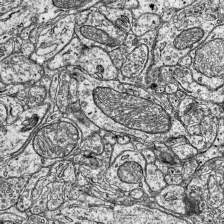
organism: Mouse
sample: Visual Cortex